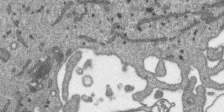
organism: Human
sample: Lung epithelial cells infected with SARS-CoV-2